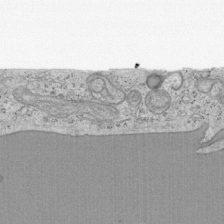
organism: Human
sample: HeLa cells